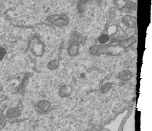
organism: Human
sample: MDA-MB-231 cells